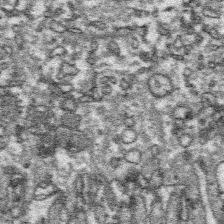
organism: Platynereis dumerilii